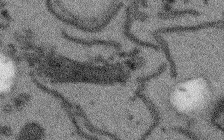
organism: Arabidopsis thaliana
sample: Root tip